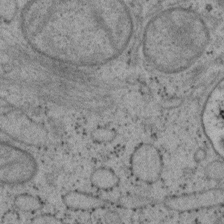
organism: Human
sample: HeLa cells